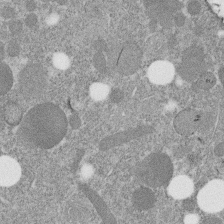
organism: C. elegans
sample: C. elegans embryo early stage